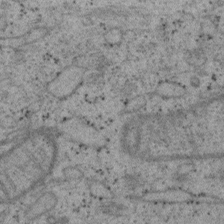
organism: Human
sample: HeLa cells